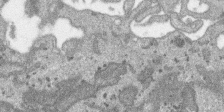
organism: Human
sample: Lung epithelial cells infected with SARS-CoV-2